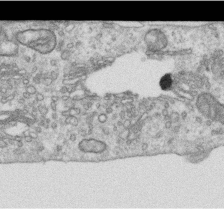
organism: Human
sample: Centriole in RPE cells